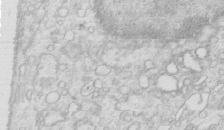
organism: Mouse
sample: Multiciliated cells